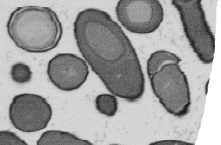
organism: B. subtilis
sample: Bacterial spore